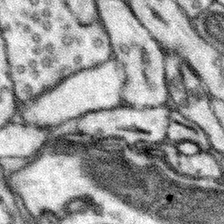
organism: Mouse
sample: Somatosensory cortex neuropil